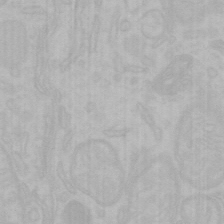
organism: Mouse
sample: Choroid plexus